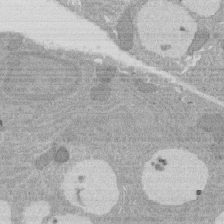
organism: Rat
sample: Salivary granule